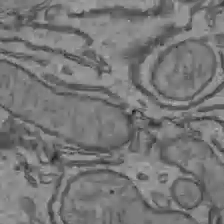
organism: C57BL Mouse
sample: Liver